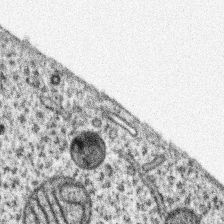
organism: Human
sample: HeLa cells